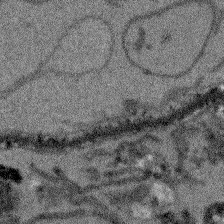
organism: Arabidopsis thaliana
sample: Root tip